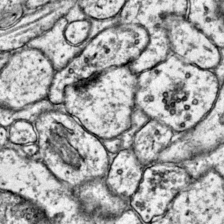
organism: Mouse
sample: Primary visual cortex